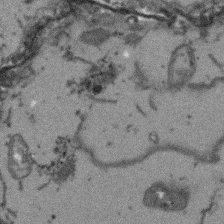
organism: Arabidopsis thaliana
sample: Root tip